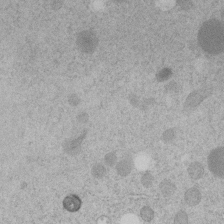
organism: C. elegans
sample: C. elegans embryo early stage